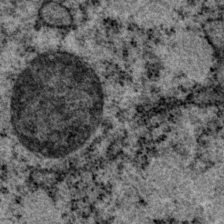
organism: P. pacificus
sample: Pharynx